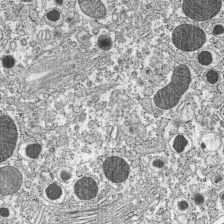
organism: C57BL Mouse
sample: Pancreatic islet